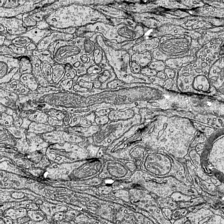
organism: Mouse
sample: Visual Cortex